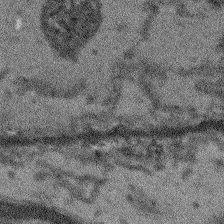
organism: Arabidopsis thaliana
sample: Root tip